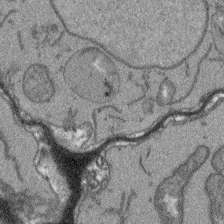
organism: Arabidopsis thaliana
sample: Root tip